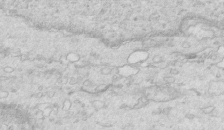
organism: Mouse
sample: Multiciliated cells